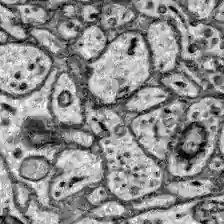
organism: Zebrafish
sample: Brain